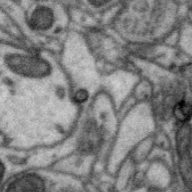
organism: Zebra finch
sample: Brain